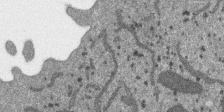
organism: Human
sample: Lung epithelial cells infected with SARS-CoV-2